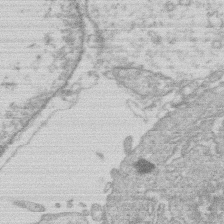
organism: Human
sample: Macrophage cells